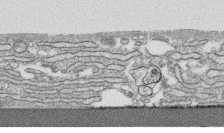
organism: Human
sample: CRL-1474